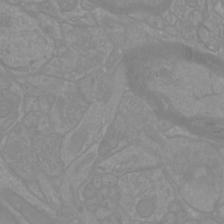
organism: Mouse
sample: Cortical neurons